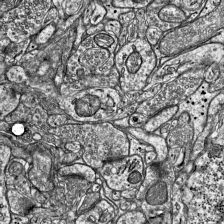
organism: Mouse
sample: Visual Cortex